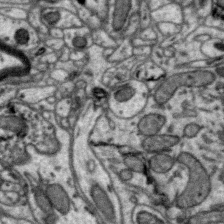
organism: Zebra finch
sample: Brain